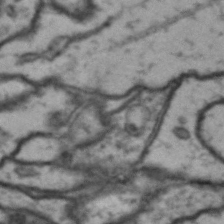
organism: Drosophila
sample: Brain